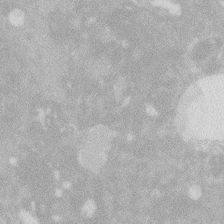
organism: Zebrafish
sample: Macrophage